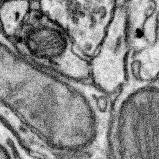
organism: Mouse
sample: Somatosensory cortex neuropil